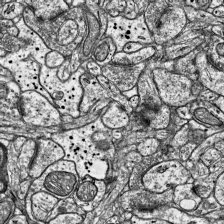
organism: Mouse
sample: Visual Cortex